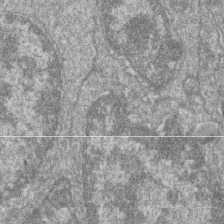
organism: Zebrafish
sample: Cilia; retinal pigment epithelium